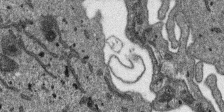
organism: Human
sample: Lung epithelial cells infected with SARS-CoV-2